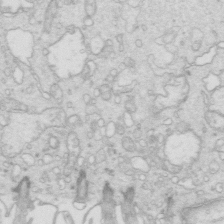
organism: Mouse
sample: Multiciliated cells